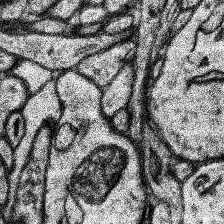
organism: Human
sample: Temporal Lobe